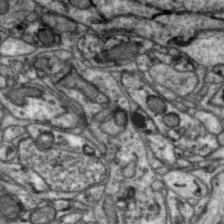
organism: Zebra finch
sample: Brain